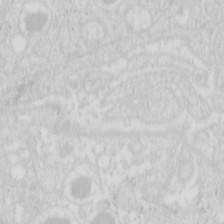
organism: Mouse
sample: Pancreas